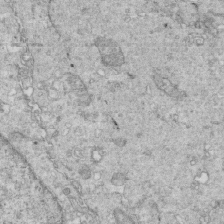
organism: Mouse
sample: Multiciliated cells